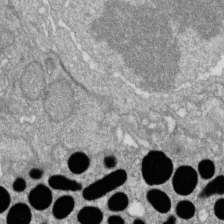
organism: Zebrafish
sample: Cilia; retinal pigment epithelium